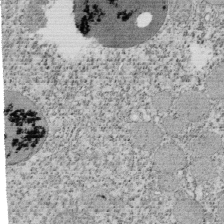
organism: Tetrahymena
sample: Cilia in tetrahymena